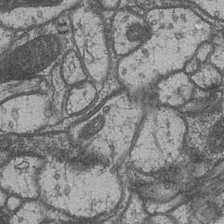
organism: Drosophila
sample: Optic medulla